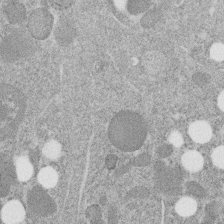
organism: C. elegans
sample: C. elegans embryo early stage